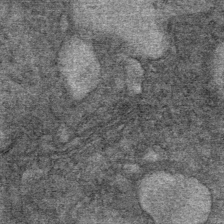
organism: Mouse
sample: Mouse Salivary gland